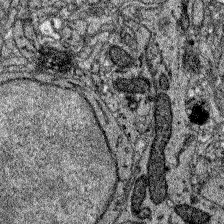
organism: Zebrafish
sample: Larval olfactory bulb